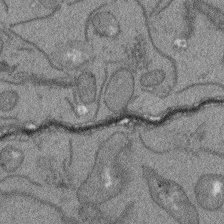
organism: Arabidopsis thaliana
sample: Root tip